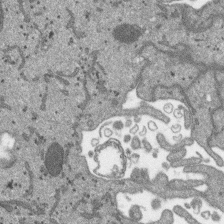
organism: Human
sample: Lung epithelial cells infected with SARS-CoV-2